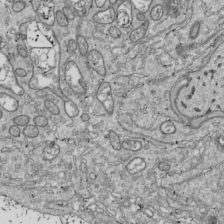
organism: Drosophila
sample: Cell division; meiosis; drosophila spermatocytes